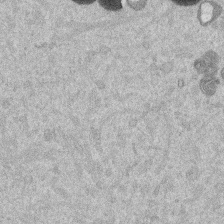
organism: Mouse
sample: Dividing mouse embryo 1 cell stage